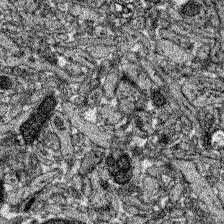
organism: Zebrafish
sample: Larval olfactory bulb